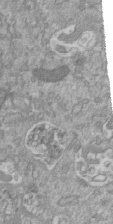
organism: Mouse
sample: ED-1 cell nuclei; centrioles